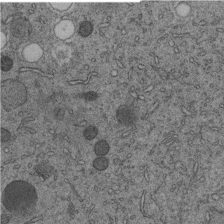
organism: C. elegans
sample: C. elegans embryo early stage